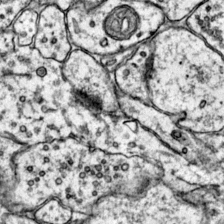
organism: Mouse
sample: Primary visual cortex